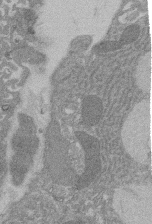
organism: Rat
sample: Salivary granule